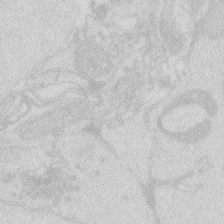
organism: Zebrafish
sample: Macrophage